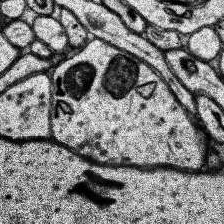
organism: Human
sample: Temporal Lobe